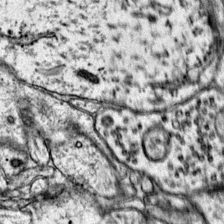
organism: Mouse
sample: Primary visual cortex